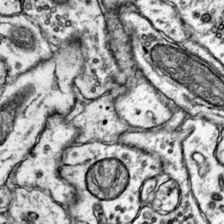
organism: Mouse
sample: Primary visual cortex